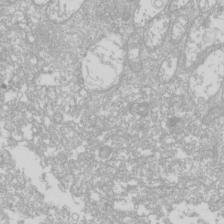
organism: Drosophila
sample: Cell division; meiosis; drosophila spermatocytes